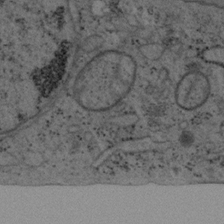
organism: Human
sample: HeLa cells